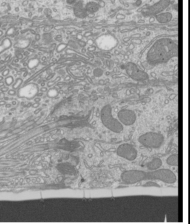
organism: Mouse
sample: Cilia; mouse epididymis